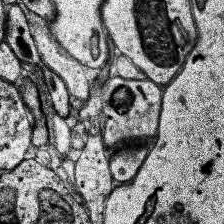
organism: Human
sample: Temporal Lobe